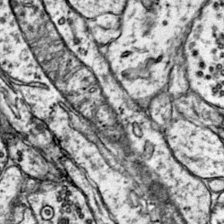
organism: Mouse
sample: Primary visual cortex